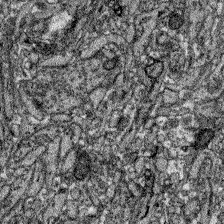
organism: Zebrafish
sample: Larval olfactory bulb